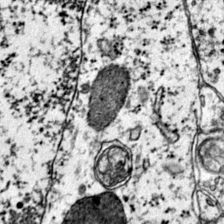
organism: Mouse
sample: Primary visual cortex